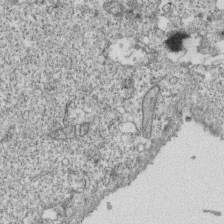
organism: Human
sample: HeLa cell HIV synapse